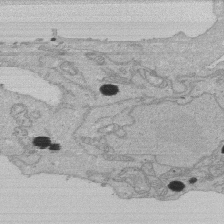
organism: Human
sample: Activated Jurkat CD4+ T cells